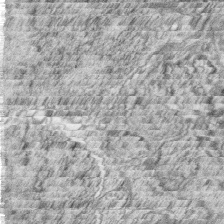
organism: Zebrafish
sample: synaptic ribbons in rod cells and cone cells